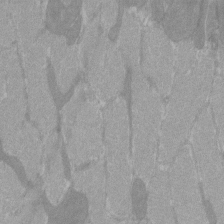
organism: C57BL Mouse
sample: Tibialis anterior muscle cell